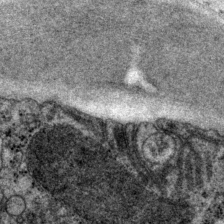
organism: P. pacificus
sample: Pharynx